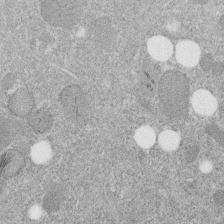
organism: C. elegans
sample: C. elegans embryo early stage